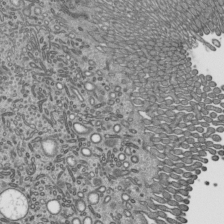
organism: Mouse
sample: Mouse epididymis efferent ductule cilia